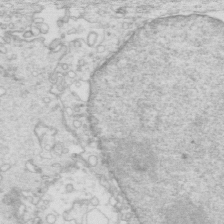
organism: Mouse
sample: Multiciliated cells